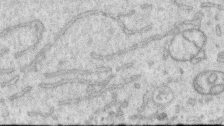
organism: Human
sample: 1205lu cells